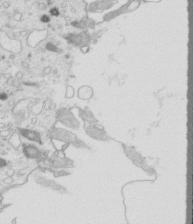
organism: Mouse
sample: Multiciliated cells